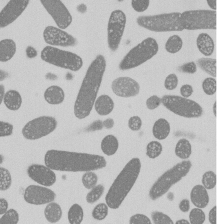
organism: E. coli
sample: Bacterial nucleoid